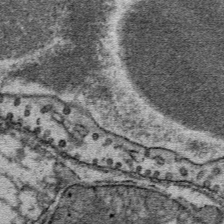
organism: Mouse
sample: Mouse Salivary gland